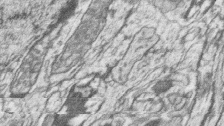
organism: Zebrafish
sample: synaptic ribbons in rod cells and cone cells